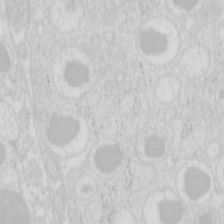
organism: Mouse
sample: Pancreas